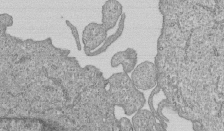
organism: Human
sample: MDA-MB-231 cells